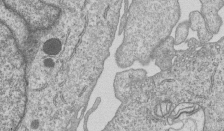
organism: Human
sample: MDA-MB-231 cells